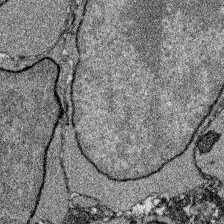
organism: Zebrafish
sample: Larval olfactory bulb